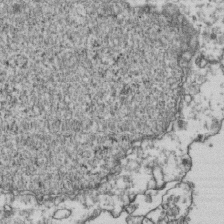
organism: Human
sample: Activated Jurkat CD4+ T cells